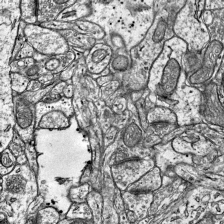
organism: Mouse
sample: Visual Cortex